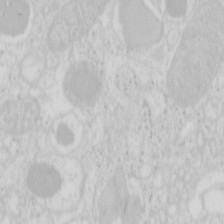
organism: Mouse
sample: Pancreas